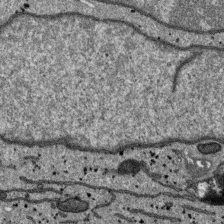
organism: Human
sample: Lung epithelial cells, uninfected (mock) control